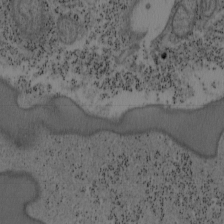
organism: Mouse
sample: OT-I killer T cells with ID8 ovarian cancer cells